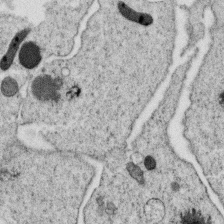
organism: C. elegans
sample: C. elegans oocyte; sperm cells